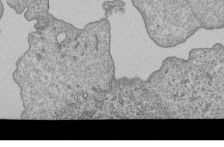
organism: Human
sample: MDA-MB-231 cells